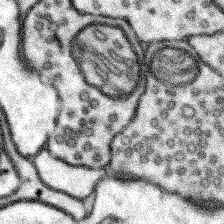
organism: Mouse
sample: Somatosensory cortex neuropil